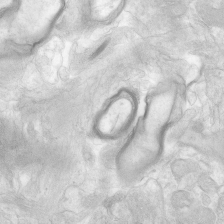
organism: Human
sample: Neocortex